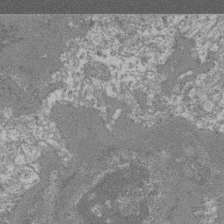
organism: Mouse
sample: Glomerulus